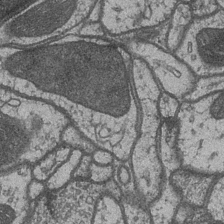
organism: Drosophila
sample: Optic medulla